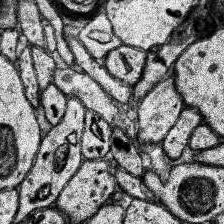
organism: Human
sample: Temporal Lobe